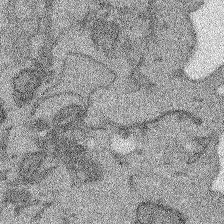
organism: Human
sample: HeLa cells